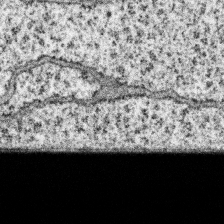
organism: Human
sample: HeLa cells